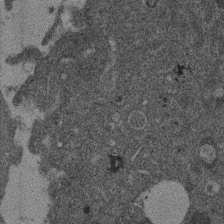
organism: Mouse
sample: Dividing mouse embryo 1 cell stage